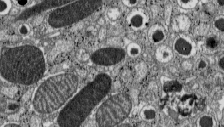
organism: C57BL Mouse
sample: Pancreatic islet